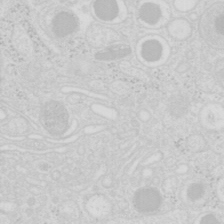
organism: Mouse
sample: Pancreas